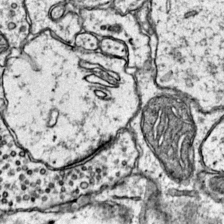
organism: Mouse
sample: Primary visual cortex